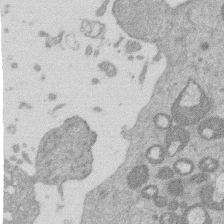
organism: Mouse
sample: Dividing mouse embryo 1 cell stage